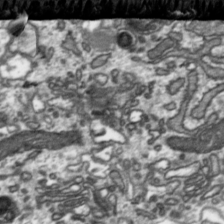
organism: Toxoplasma gondii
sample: Parasites in a vacuole inside a host cell